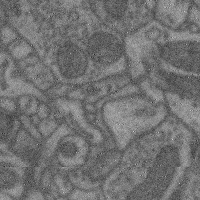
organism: Mouse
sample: Cerebral cortex